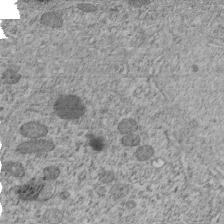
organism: C. elegans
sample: C. elegans embryo early stage